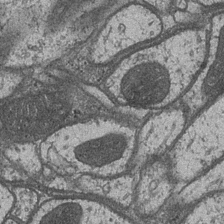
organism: Drosophila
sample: Optic medulla